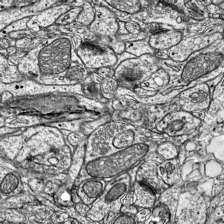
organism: Mouse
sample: Visual Cortex